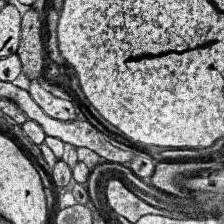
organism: Human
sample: Temporal Lobe